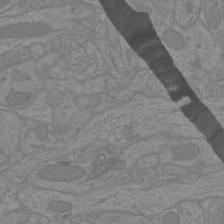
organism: Mouse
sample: Cortical neurons